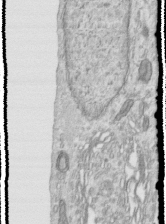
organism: Human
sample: Centriole in RPE cells